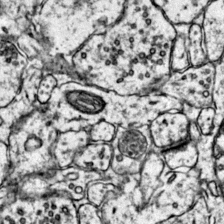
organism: Mouse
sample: Primary visual cortex